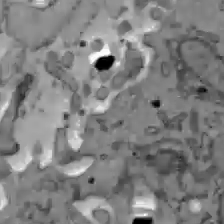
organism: C57BL Mouse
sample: Liver